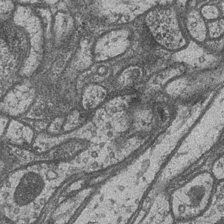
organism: Drosophila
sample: Optic medulla